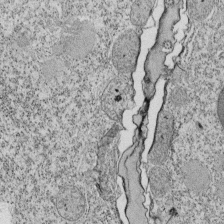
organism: Tetrahymena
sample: Cilia in tetrahymena